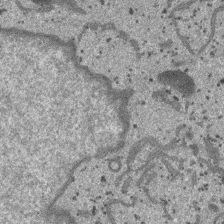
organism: Human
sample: Lung epithelial cells infected with SARS-CoV-2